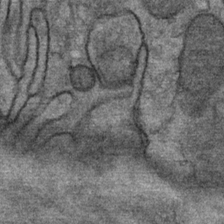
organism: Mouse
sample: Mouse Salivary gland